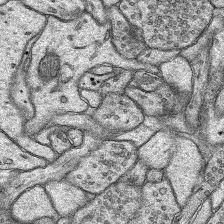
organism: Rat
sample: Hippocampus